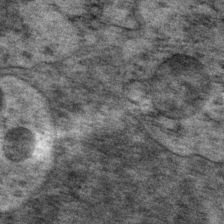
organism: P. pacificus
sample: Pharynx